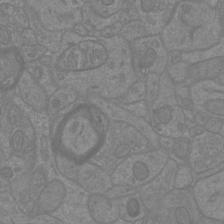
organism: Mouse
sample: Cortical neurons